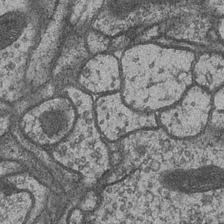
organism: Drosophila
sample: Optic medulla